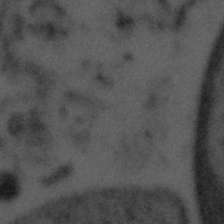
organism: Tuwongella immobilis